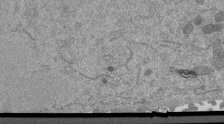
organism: Mouse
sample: ED-1 cell nuclei; centrioles